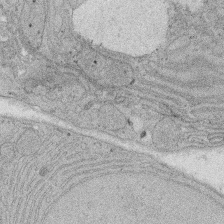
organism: Rat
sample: Salivary granule